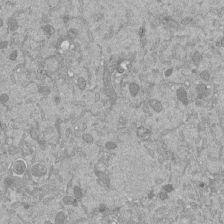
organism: Mouse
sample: ED-1 cell nuclei; centrioles